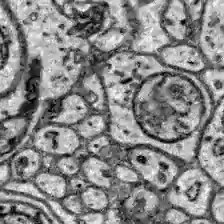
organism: Zebrafish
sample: Brain